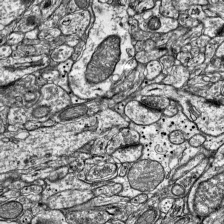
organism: Mouse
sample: Visual Cortex